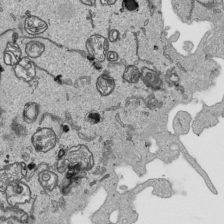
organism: Human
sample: Mitochondria in HCT116 cells